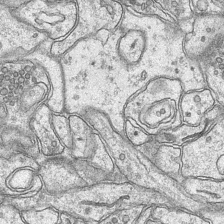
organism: Mouse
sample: CA1 Hippocampus